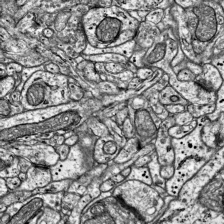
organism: Mouse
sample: Visual Cortex